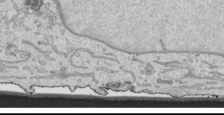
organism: Human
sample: Mitochondria in HCT116 cells